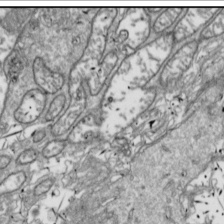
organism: Drosophila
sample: Cell division; meiosis; drosophila spermatocytes